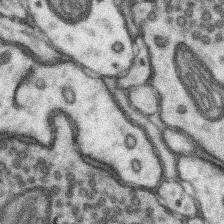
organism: Mouse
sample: Somatosensory cortex neuropil